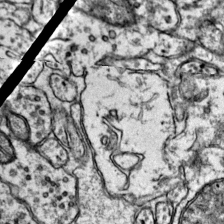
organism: Mouse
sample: Primary visual cortex